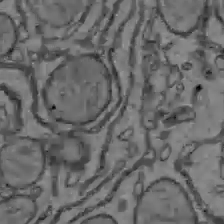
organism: C57BL Mouse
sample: Liver